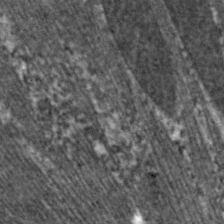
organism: C. elegans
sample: Pharynx